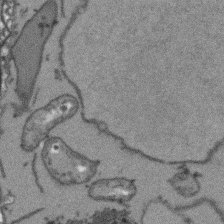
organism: Arabidopsis thaliana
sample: Root tip